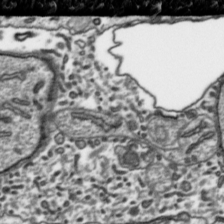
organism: Toxoplasma gondii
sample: Parasites in a vacuole inside a host cell